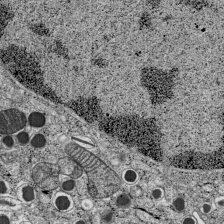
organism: C57BL Mouse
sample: Pancreatic islet